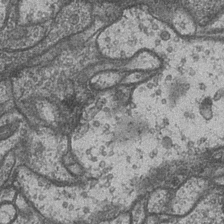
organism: Drosophila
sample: Optic medulla